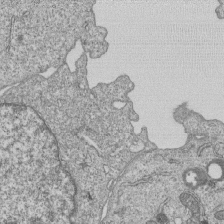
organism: Human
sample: MDA-MB-231 cells